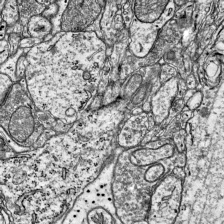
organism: Mouse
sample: Visual Cortex